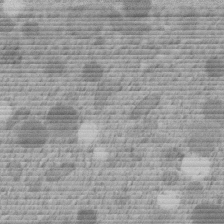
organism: C. elegans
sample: C. elegans embryo early stage